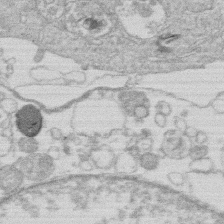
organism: Human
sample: Macrophage cells